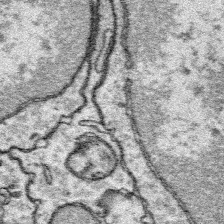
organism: Platynereis dumerilii